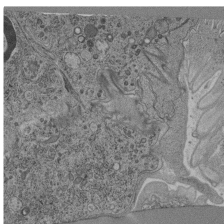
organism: C. elegans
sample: C. elegans pharynx